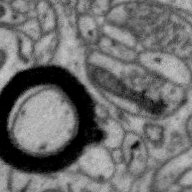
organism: Zebra finch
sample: Brain